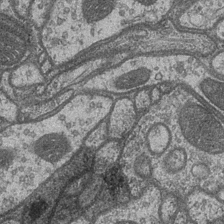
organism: Drosophila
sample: Optic medulla